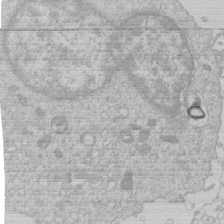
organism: Human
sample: Macrophage cells